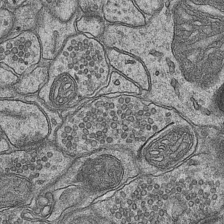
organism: Mouse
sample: CA1 Hippocampus